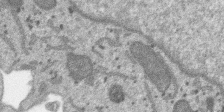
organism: Human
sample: Lung epithelial cells infected with SARS-CoV-2